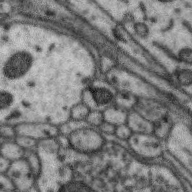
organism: Zebra finch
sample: Brain